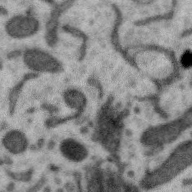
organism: Zebra finch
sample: Brain